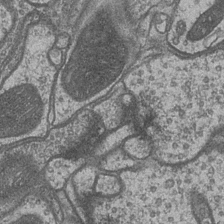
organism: Drosophila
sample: Optic medulla